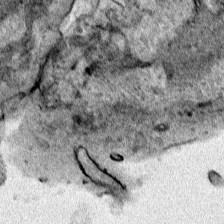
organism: Human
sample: Mitochondria in HCT116 cells